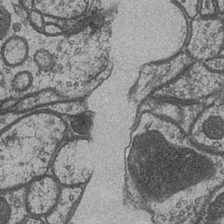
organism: Drosophila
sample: Optic medulla